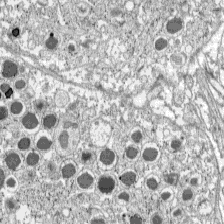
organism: C57BL Mouse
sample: Pancreatic islet